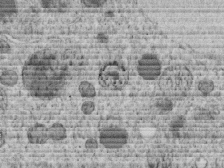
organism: C. elegans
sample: C. elegans embryo early stage